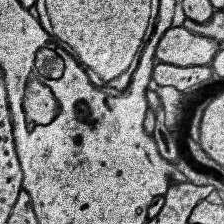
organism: Human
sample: Temporal Lobe